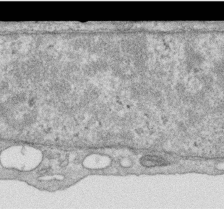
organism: Human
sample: Centriole in RPE cells